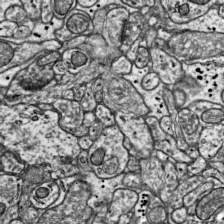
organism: Mouse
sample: Visual Cortex